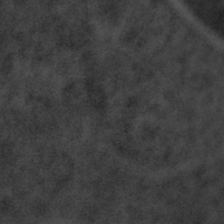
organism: Tuwongella immobilis